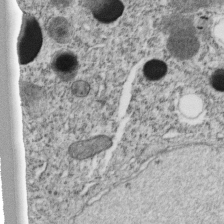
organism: C. elegans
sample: C. elegans embryo early stage